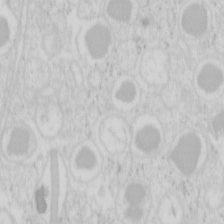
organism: Mouse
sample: Pancreas